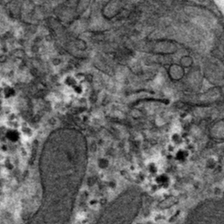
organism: Mouse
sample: Mouse hepatocytes